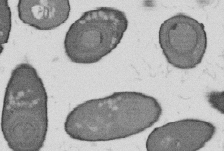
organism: B. subtilis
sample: Bacterial spore